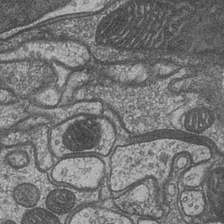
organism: Drosophila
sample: Optic medulla